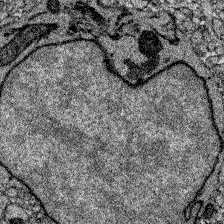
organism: Zebrafish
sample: Larval olfactory bulb